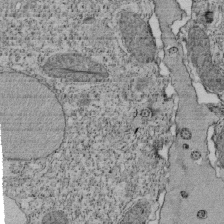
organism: Tetrahymena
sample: Cilia in tetrahymena